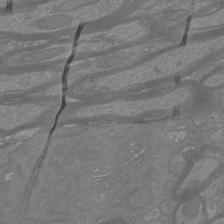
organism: Mouse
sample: Cortical neurons